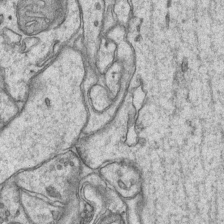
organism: Mouse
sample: CA1 Hippocampus